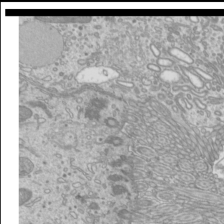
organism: Mouse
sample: Cilia; mouse epididymis